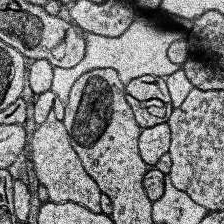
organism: Human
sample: Temporal Lobe